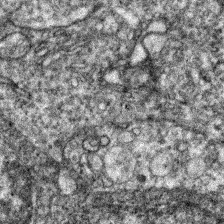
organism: Zebrafish